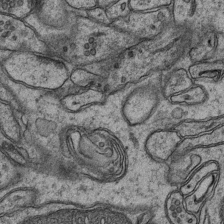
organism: Mouse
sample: CA1 Hippocampus